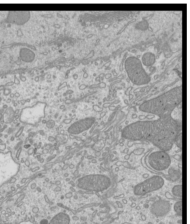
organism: Mouse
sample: Cilia; mouse epididymis